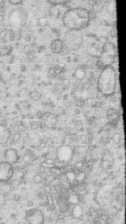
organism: Human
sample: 1205lu cells